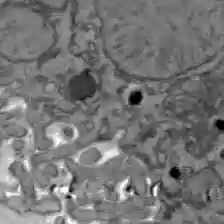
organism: C57BL Mouse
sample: Liver